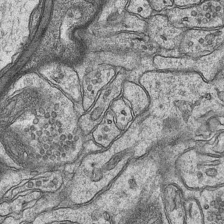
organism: Mouse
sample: CA1 Hippocampus